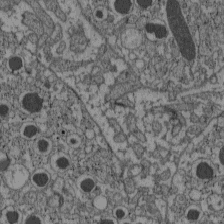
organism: C57BL Mouse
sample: Pancreatic islet